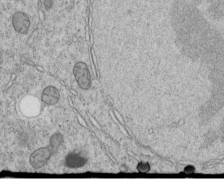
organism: C. elegans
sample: C. elegans embryo early stage